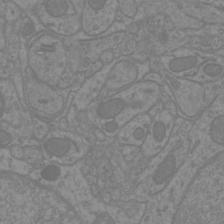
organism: Mouse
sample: Cortical neurons